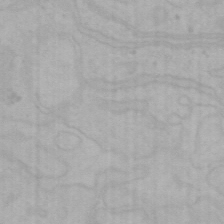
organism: Mouse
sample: Choroid plexus